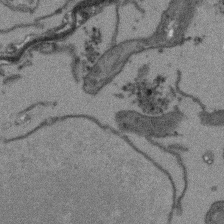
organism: Arabidopsis thaliana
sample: Root tip